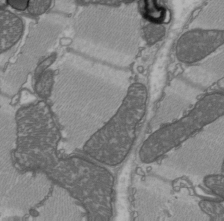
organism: C57BL Mouse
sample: Heart